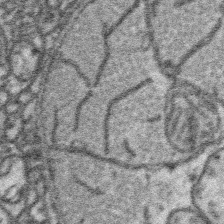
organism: Platynereis dumerilii